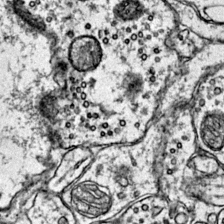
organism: Mouse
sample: Primary visual cortex